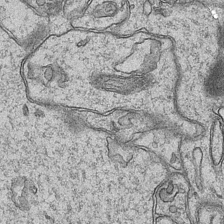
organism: Mouse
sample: CA1 Hippocampus